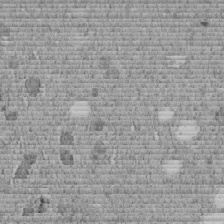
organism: C. elegans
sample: C. elegans embryo early stage